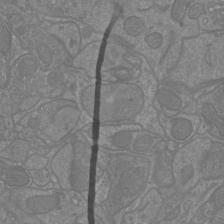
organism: Mouse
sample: Cortical neurons